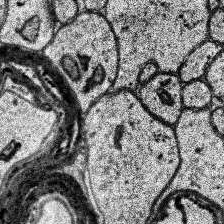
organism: Human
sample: Temporal Lobe